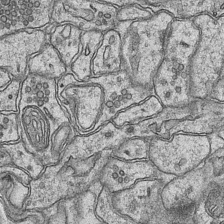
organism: Mouse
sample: CA1 Hippocampus